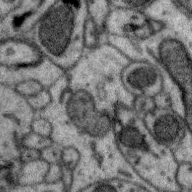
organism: Zebra finch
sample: Brain